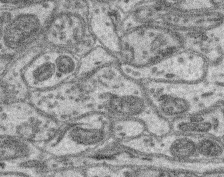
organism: Mouse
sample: Retina